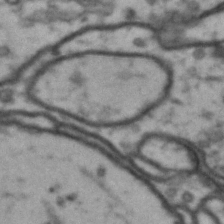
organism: Drosophila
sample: Brain